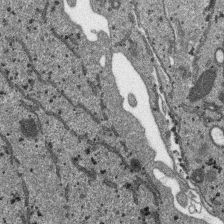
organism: Human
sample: Lung epithelial cells infected with SARS-CoV-2